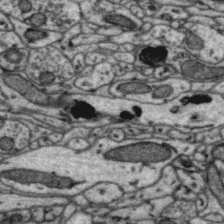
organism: Zebra finch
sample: Brain